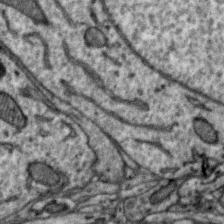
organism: Zebra finch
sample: Brain